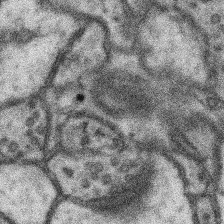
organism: Mouse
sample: Somatosensory cortex neuropil